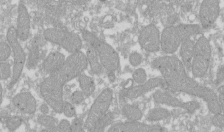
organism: Xenopus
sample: Cilia; centrioles in frog embryo cells